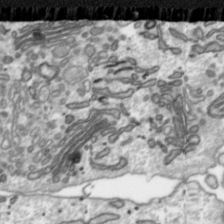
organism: Toxoplasma gondii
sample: Parasites in a vacuole inside a host cell